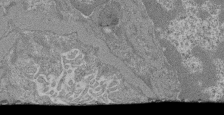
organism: Mouse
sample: Glomerulus